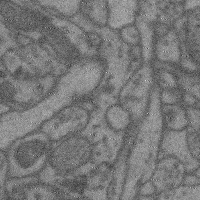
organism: Mouse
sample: Cerebral cortex